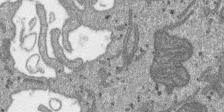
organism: Human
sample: Lung epithelial cells infected with SARS-CoV-2